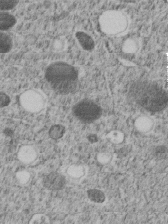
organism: C. elegans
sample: C. elegans embryo early stage